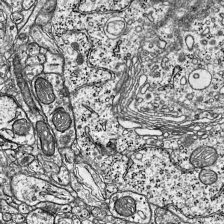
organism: Mouse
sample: Visual Cortex